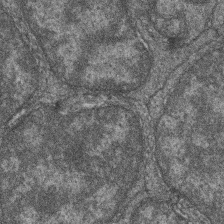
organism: Zebrafish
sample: Cilia; retinal pigment epithelium